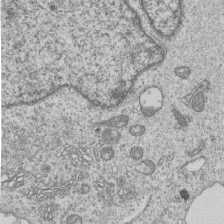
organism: Human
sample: MDA-MB-231 cells